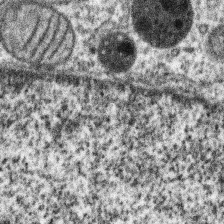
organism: Human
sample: HeLa cells